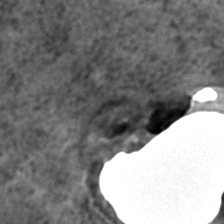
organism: C. elegans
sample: C. elegans embryo